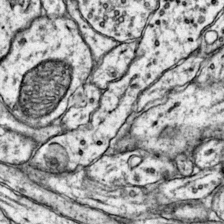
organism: Mouse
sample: Primary visual cortex